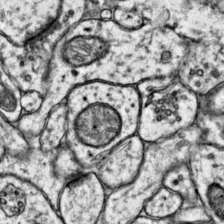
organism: Mouse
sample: Primary visual cortex